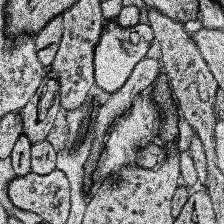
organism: Human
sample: Temporal Lobe